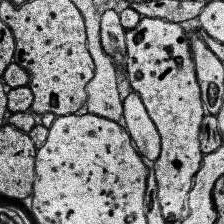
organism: Human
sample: Temporal Lobe